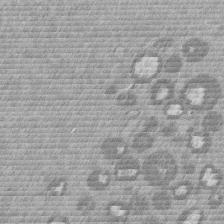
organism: Mouse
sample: Dividing mouse embryo 1 cell stage